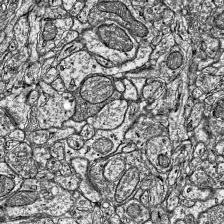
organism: Mouse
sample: Visual Cortex